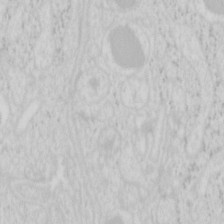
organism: Mouse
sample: Pancreas